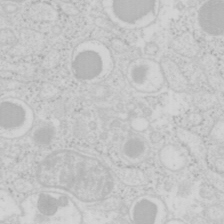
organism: Mouse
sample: Pancreas